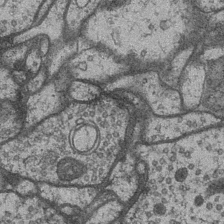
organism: Drosophila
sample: Optic medulla